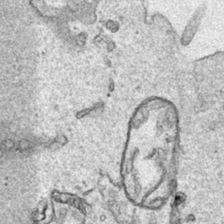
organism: Human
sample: Mitochondria in HCT116 cells